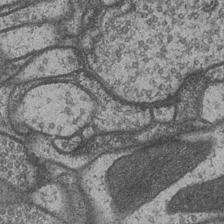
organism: Drosophila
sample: Optic medulla